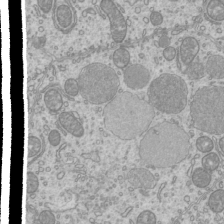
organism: Mouse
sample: Cilia; mouse epididymis